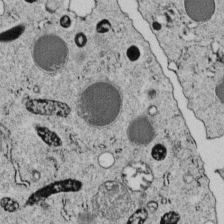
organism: C. elegans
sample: C. elegans embryo early stage